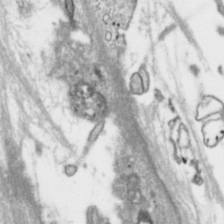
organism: Toxoplasma gondii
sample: Parasites in a vacuole inside a host cell